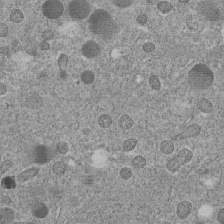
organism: C. elegans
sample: C. elegans embryo early stage